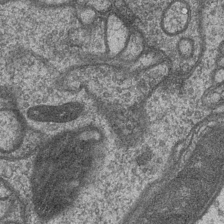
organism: Drosophila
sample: Optic medulla